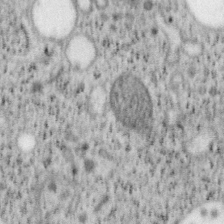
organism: Mouse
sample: OT-I killer T cells with ID8 ovarian cancer cells